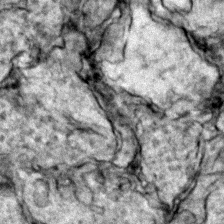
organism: Zebrafish